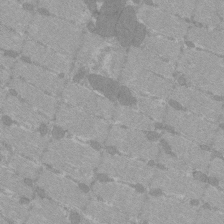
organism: C57BL Mouse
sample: Tibialis anterior muscle cell